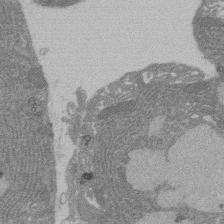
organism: Rat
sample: Salivary granule